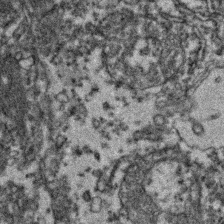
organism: Zebrafish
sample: Zebrafish embryo